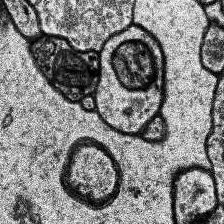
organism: Human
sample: Temporal Lobe